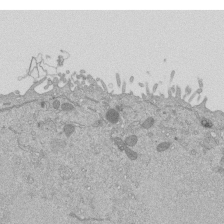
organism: Mouse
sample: ED-1 cell nuclei; centrioles